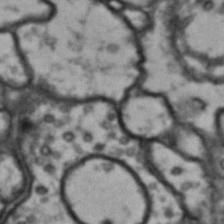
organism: Drosophila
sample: Brain